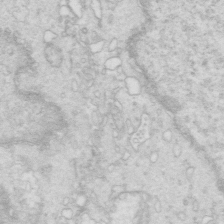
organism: Mouse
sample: Multiciliated cells